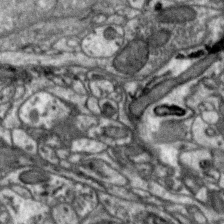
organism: Zebra finch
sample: Brain